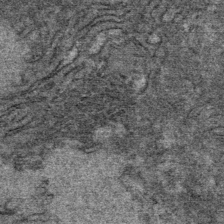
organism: Mouse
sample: Mouse Salivary gland